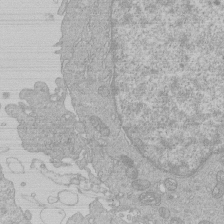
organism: Human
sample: Macrophage cells